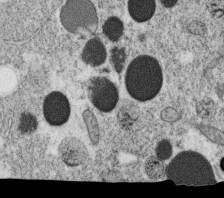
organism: C. elegans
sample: C. elegans oocyte; sperm cells